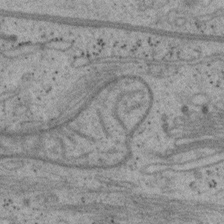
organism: Human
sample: HeLa cells